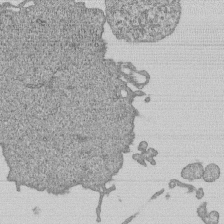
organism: Human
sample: MDA-MB-231 cells